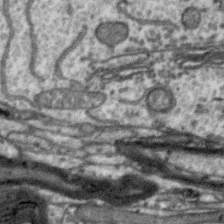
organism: Zebra finch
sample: Brain